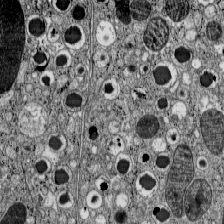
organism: C57BL Mouse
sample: Pancreatic islet